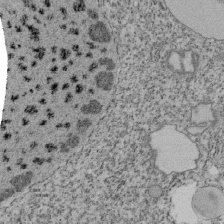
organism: Tetrahymena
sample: Cilia in tetrahymena